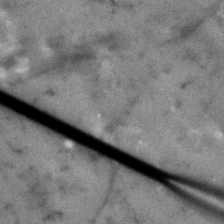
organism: Human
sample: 1205lu cells